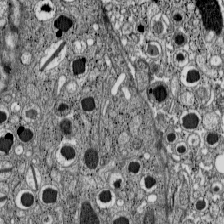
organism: C57BL Mouse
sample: Pancreatic islet